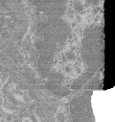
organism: Mouse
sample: Glomerulus